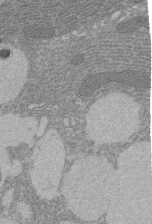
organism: Rat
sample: Salivary granule